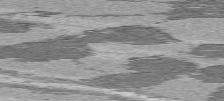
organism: C57BL Mouse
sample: Heart